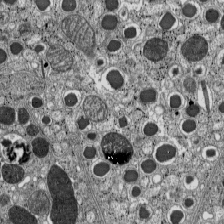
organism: C57BL Mouse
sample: Pancreatic islet